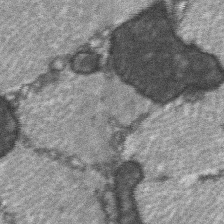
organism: C57BL Mouse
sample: Soleus